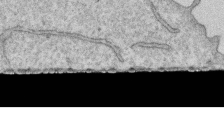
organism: Human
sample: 1205lu cells